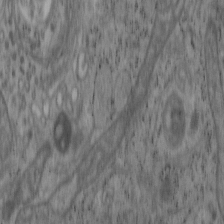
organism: Human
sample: HeLa cells